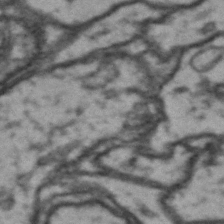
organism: Drosophila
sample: Brain